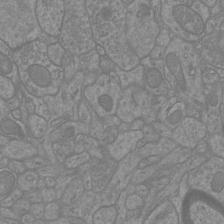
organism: Mouse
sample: Cortical neurons